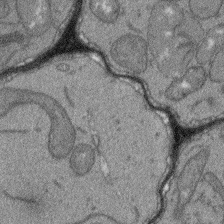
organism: Arabidopsis thaliana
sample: Root tip